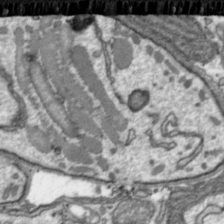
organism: Toxoplasma gondii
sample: Parasites in a vacuole inside a host cell